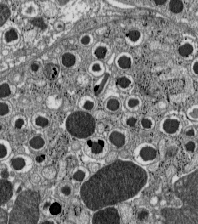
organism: C57BL Mouse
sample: Pancreatic islet